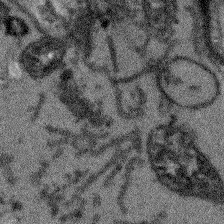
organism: Arabidopsis thaliana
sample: Root tip